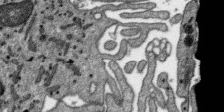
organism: Human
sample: Lung epithelial cells, uninfected (mock) control